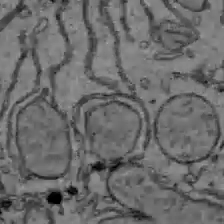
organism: C57BL Mouse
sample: Liver